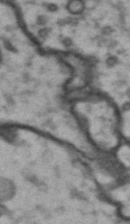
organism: Drosophila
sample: Brain